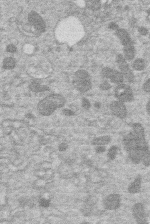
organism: Human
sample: Macrophage cells